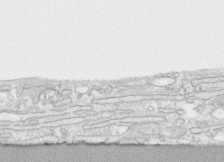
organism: Human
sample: CRL-1474